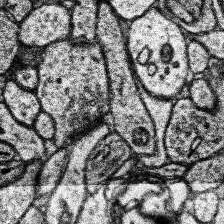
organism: Human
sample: Temporal Lobe